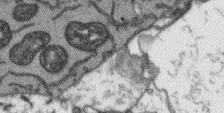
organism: Arabidopsis thaliana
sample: Root tip